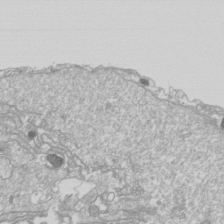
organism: Drosophila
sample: Cell division; meiosis; drosophila spermatocytes